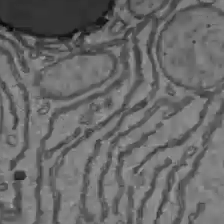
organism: C57BL Mouse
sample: Liver